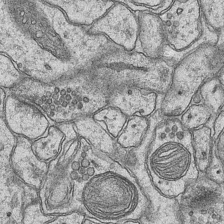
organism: Mouse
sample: CA1 Hippocampus